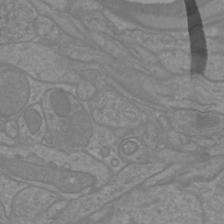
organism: Mouse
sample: Cortical neurons